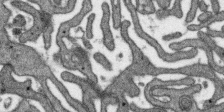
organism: Human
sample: Lung epithelial cells, uninfected (mock) control